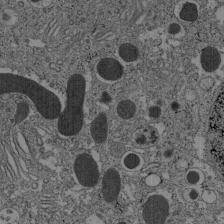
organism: C57BL Mouse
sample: Pancreatic islet